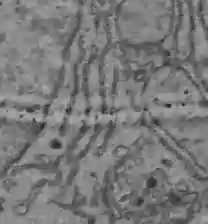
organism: C57BL Mouse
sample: Liver